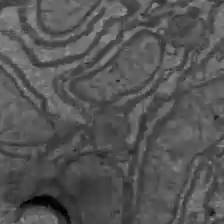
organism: C57BL Mouse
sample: Liver